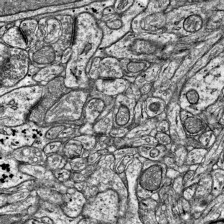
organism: Mouse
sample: Visual Cortex